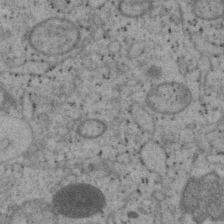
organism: Human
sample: HeLa cells